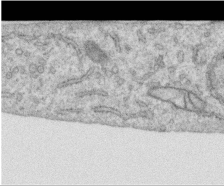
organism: Human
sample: Centriole in RPE cells